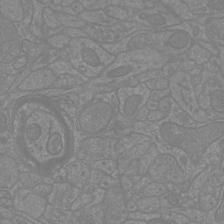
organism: Mouse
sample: Cortical neurons